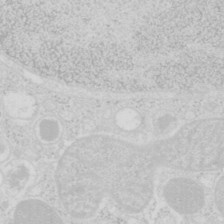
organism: Mouse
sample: Pancreas